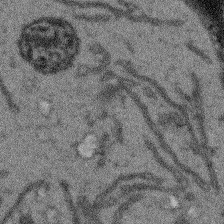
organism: Arabidopsis thaliana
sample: Root tip